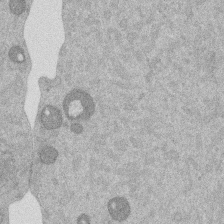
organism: Mouse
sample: Dividing mouse embryo 1 cell stage